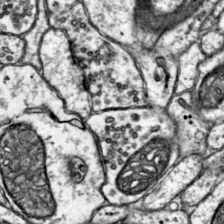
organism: Mouse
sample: Primary visual cortex